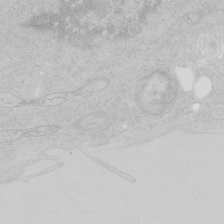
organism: Human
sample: Mitochondria in HCT116 cells